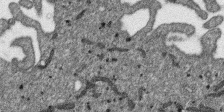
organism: Human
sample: Lung epithelial cells infected with SARS-CoV-2